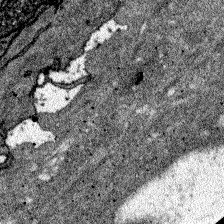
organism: Zebrafish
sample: Larval olfactory bulb